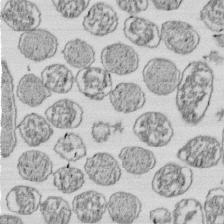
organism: E. coli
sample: Bacterial nucleoid